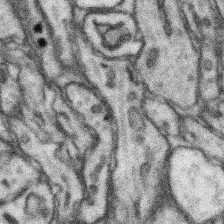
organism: Mouse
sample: Somatosensory cortex neuropil